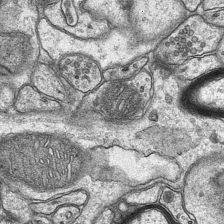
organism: Mouse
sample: CA1 Hippocampus